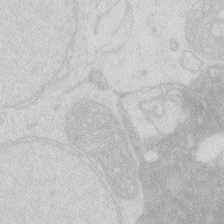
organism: Zebrafish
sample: Macrophage